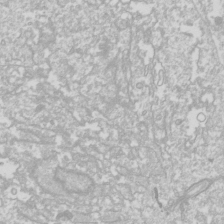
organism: Drosophila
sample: Cell division; meiosis; drosophila spermatocytes